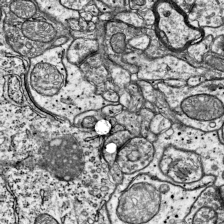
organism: Mouse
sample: Visual Cortex